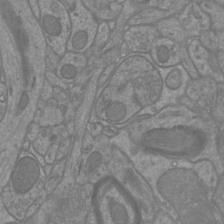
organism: Mouse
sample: Cortical neurons